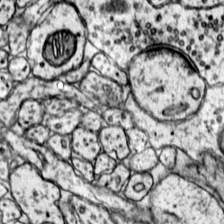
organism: Mouse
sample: Primary visual cortex